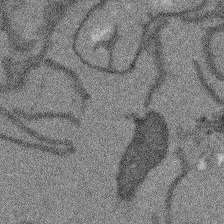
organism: Arabidopsis thaliana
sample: Root tip